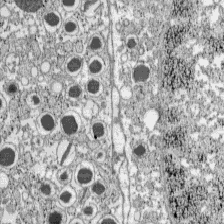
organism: C57BL Mouse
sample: Pancreatic islet